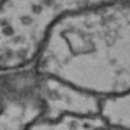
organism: Drosophila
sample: Brain